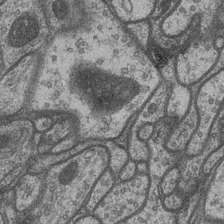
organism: Drosophila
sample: Optic medulla